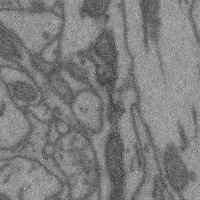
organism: Mouse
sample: Cerebral cortex